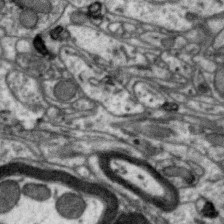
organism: Zebra finch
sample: Brain